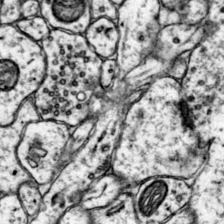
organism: Mouse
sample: Primary visual cortex